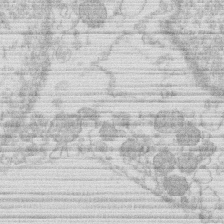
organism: Human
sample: Macrophage cells